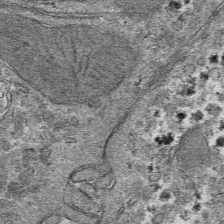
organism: Mouse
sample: Mouse hepatocytes